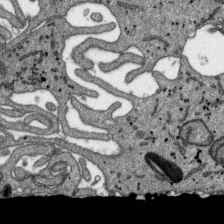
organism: Human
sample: Lung epithelial cells, uninfected (mock) control